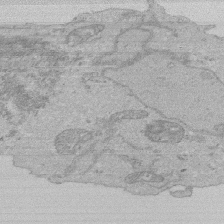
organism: Human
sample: Activated Jurkat CD4+ T cells